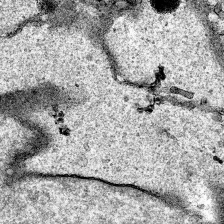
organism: Human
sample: Mitochondria in HCT116 cells